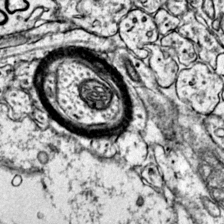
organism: Mouse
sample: Primary visual cortex